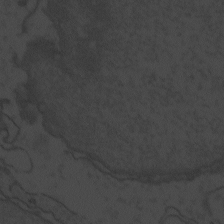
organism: Zebrafish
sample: Macrophage infected with Toxoplasma gondii